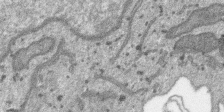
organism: Human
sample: Lung epithelial cells infected with SARS-CoV-2